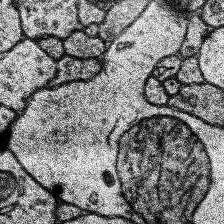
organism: Human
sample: Temporal Lobe